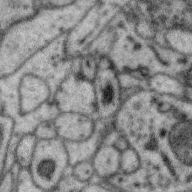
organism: Zebra finch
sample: Brain